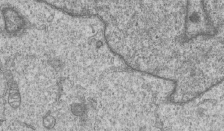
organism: Human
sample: MDA-MB-231 cells